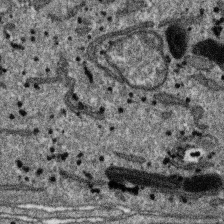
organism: Human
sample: Lung epithelial cells infected with SARS-CoV-2